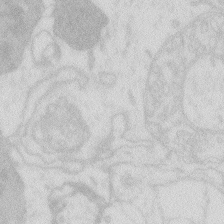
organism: Zebrafish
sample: Macrophage